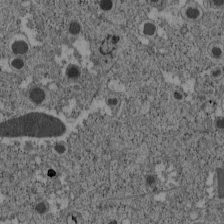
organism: C57BL Mouse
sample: Pancreatic islet